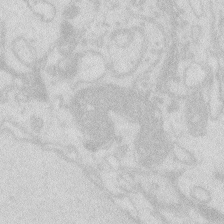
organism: Zebrafish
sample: Macrophage